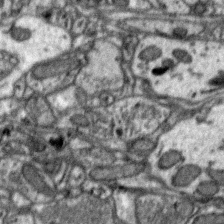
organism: Zebra finch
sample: Brain